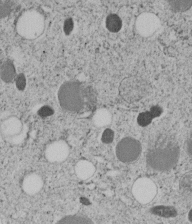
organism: C. elegans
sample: C. elegans embryo early stage